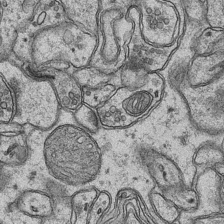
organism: Mouse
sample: CA1 Hippocampus